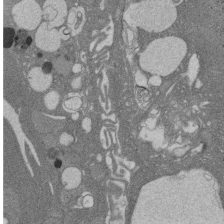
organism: Rat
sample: Salivary granule